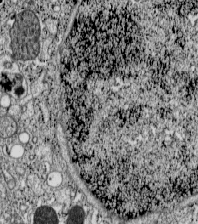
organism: C57BL Mouse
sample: Pancreatic islet